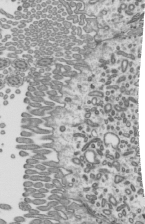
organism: Mouse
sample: Mouse epididymis efferent ductule cilia